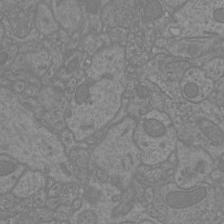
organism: Mouse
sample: Cortical neurons